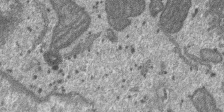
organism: Human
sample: Lung epithelial cells infected with SARS-CoV-2